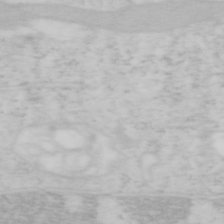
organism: Mouse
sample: OT-I killer T cells with ID8 ovarian cancer cells